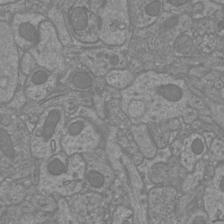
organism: Mouse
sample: Cortical neurons